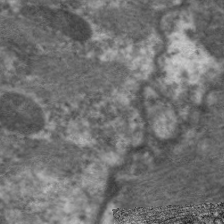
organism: C. elegans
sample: Pharynx